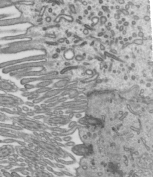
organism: Mouse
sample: Mouse epididymis efferent ductule cilia